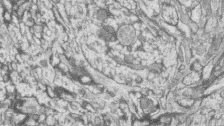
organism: Zebrafish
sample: synaptic ribbons in rod cells and cone cells